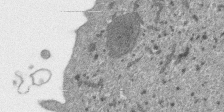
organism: Human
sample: Lung epithelial cells infected with SARS-CoV-2